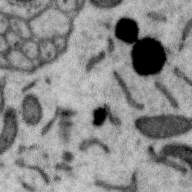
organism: Zebra finch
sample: Brain